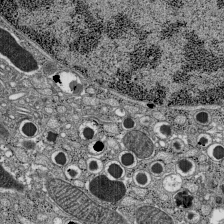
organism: C57BL Mouse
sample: Pancreatic islet